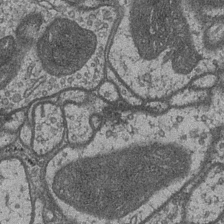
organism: Drosophila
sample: Optic medulla